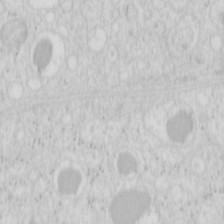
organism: Mouse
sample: Pancreas